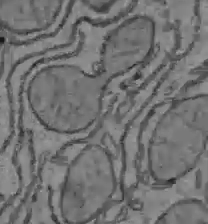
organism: C57BL Mouse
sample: Liver